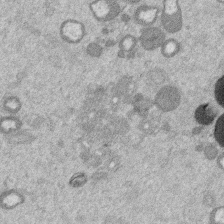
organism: Mouse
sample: Dividing mouse embryo 1 cell stage